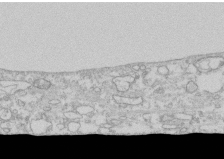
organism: Human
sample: CRL-1474